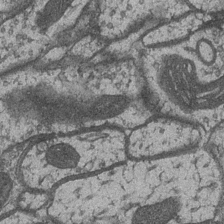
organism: Drosophila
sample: Optic medulla